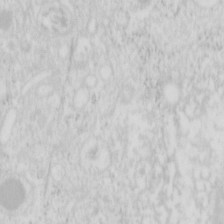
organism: Mouse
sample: Pancreas